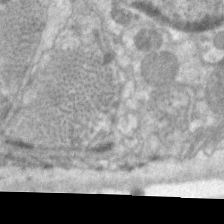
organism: C. elegans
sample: Pharynx